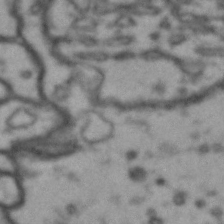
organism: Drosophila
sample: Brain